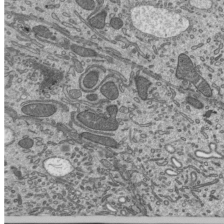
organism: Mouse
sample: Mouse epididymis efferent ductule cilia